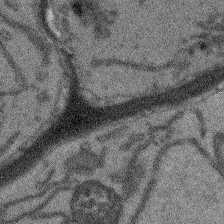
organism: Arabidopsis thaliana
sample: Root tip